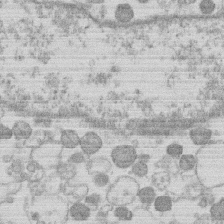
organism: Human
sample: Macrophage cells